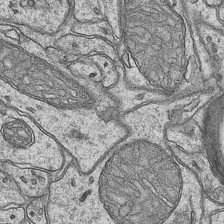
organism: Mouse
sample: CA1 Hippocampus